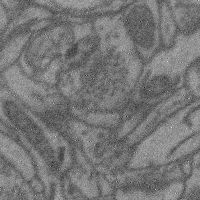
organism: Mouse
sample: Cerebral cortex